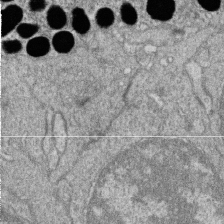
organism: Zebrafish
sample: Cilia; retinal pigment epithelium